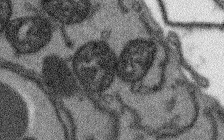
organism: Arabidopsis thaliana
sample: Root tip